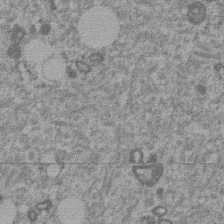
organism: Mouse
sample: Dividing mouse embryo 1 cell stage